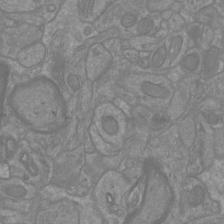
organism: Mouse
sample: Cortical neurons